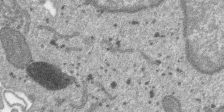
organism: Human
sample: Lung epithelial cells infected with SARS-CoV-2